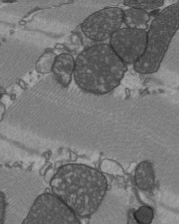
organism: C57BL Mouse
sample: Heart